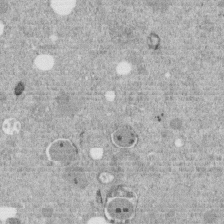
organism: C. elegans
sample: C. elegans embryo early stage